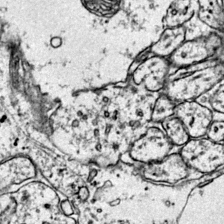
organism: Mouse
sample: Primary visual cortex